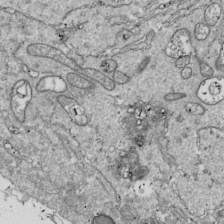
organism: Drosophila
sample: Cell division; meiosis; drosophila spermatocytes